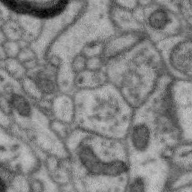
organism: Zebra finch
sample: Brain